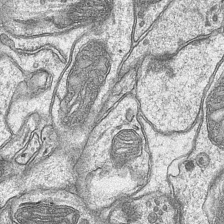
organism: Mouse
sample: CA1 Hippocampus